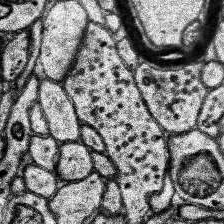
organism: Human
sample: Temporal Lobe